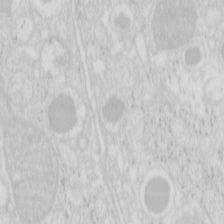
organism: Mouse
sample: Pancreas